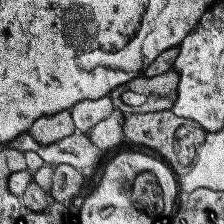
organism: Human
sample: Temporal Lobe